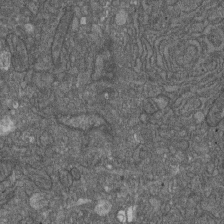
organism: Drosophila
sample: Nephrocyte